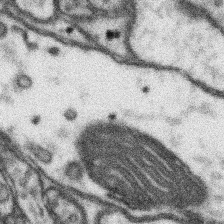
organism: Mouse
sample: Somatosensory cortex neuropil